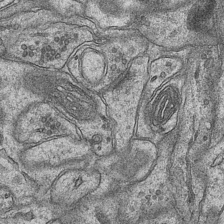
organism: Mouse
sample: CA1 Hippocampus